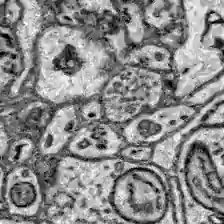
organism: Zebrafish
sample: Brain